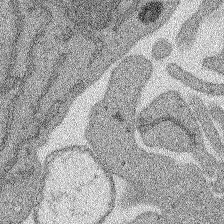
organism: Human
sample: HeLa cells